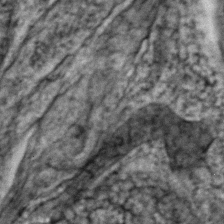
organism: Zebrafish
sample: Zebrafish embryo